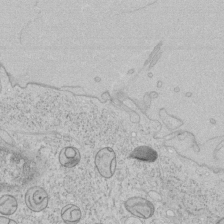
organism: Human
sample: Mitochondria in HCT116 cells